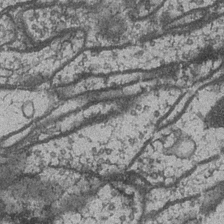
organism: Drosophila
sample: Optic medulla